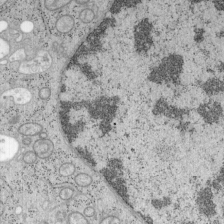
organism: Mouse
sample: OT-I killer T cells with ID8 ovarian cancer cells